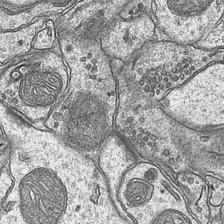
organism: Mouse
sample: CA1 Hippocampus